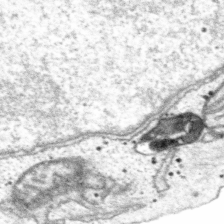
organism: Human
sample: HeLa cells